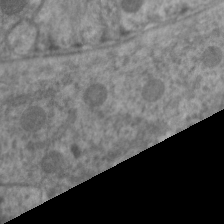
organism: C. elegans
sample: Pharynx